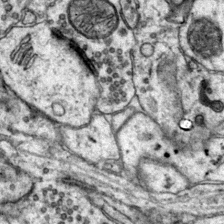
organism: Mouse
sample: Primary visual cortex